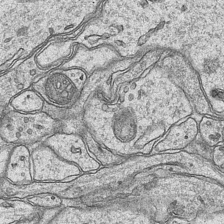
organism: Mouse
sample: CA1 Hippocampus